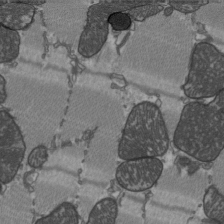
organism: C57BL Mouse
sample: Heart